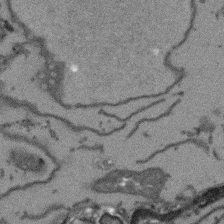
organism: Arabidopsis thaliana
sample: Root tip